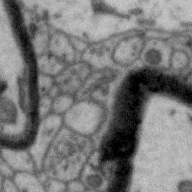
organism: Zebra finch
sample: Brain